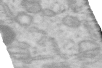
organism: Human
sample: Centriole in RPE cells